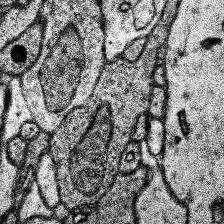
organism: Human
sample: Temporal Lobe